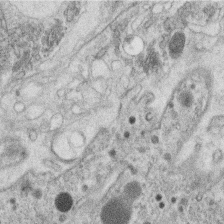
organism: C. elegans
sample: C. elegans oocyte; sperm cells